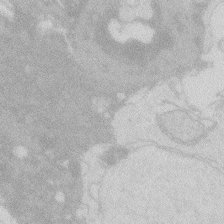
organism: Zebrafish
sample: Macrophage